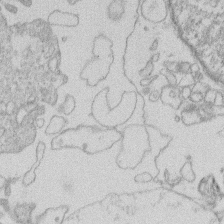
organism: Human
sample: Macrophage cells